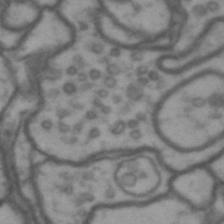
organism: Drosophila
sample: Brain